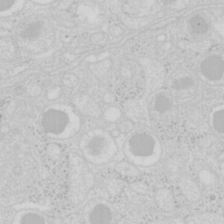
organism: Mouse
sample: Pancreas